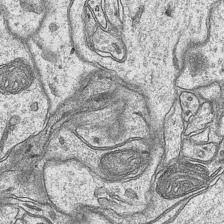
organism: Mouse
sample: CA1 Hippocampus